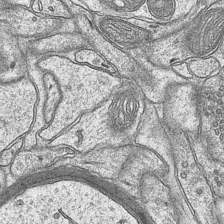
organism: Mouse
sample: CA1 Hippocampus